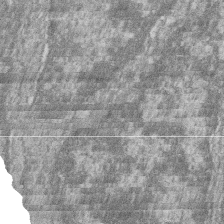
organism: Zebrafish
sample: Cilia; retinal pigment epithelium